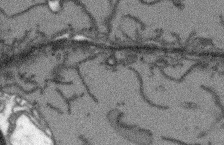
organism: Arabidopsis thaliana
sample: Root tip